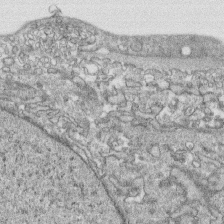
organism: Human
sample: CRL-1474